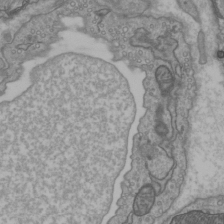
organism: C57BL Mouse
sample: Heart